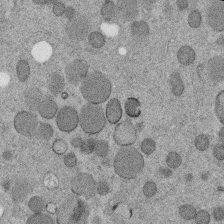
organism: C. elegans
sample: C. elegans embryo early stage